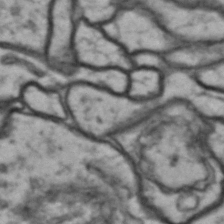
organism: Drosophila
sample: Brain